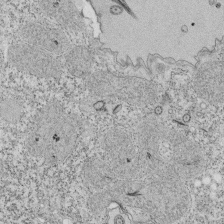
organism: Tetrahymena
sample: Cilia in tetrahymena